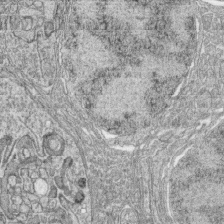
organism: Zebrafish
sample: synaptic ribbons in rod cells and cone cells